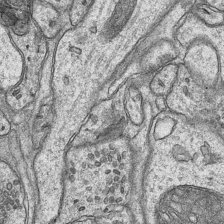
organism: Mouse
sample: CA1 Hippocampus